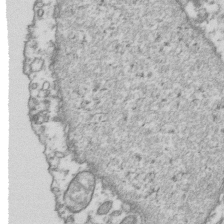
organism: Human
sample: Activated Jurkat CD4+ T cells